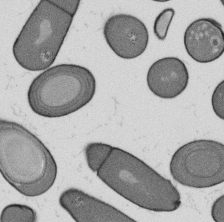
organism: B. subtilis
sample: Bacterial spore